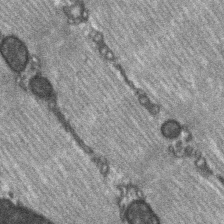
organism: C57BL Mouse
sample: Soleus